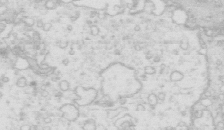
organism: Mouse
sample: Multiciliated cells